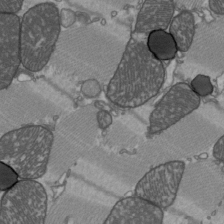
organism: C57BL Mouse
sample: Heart